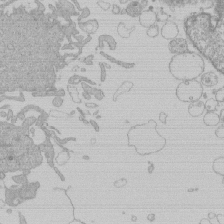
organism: Human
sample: Macrophage cells